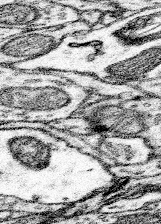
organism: Mouse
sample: Somatosensory cortex neuropil